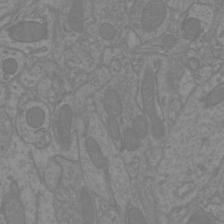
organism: Mouse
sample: Cortical neurons